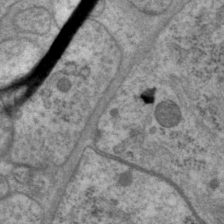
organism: P. pacificus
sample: Pharynx